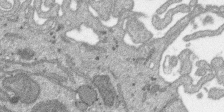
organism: Human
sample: Lung epithelial cells infected with SARS-CoV-2